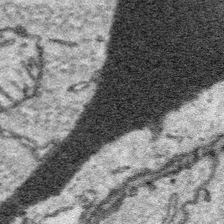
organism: Platynereis dumerilii